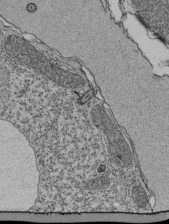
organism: Tetrahymena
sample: Cilia in tetrahymena